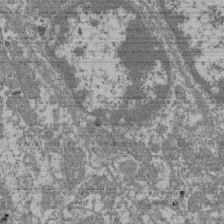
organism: Mouse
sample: Glomerulus